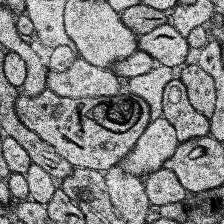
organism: Human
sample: Temporal Lobe